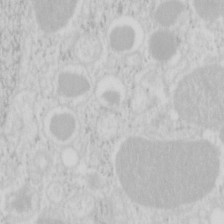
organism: Mouse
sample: Pancreas